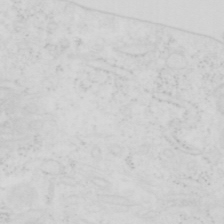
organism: Human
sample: SUM-159 cell